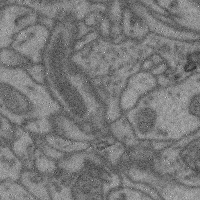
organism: Mouse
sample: Cerebral cortex